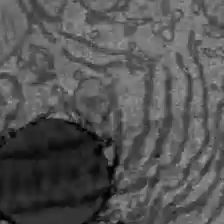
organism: C57BL Mouse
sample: Liver